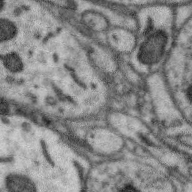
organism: Zebra finch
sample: Brain